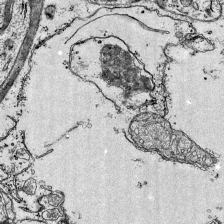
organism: Mouse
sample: Visual Cortex